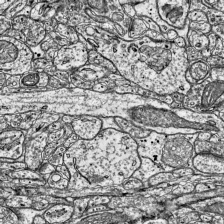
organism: Mouse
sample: Visual Cortex